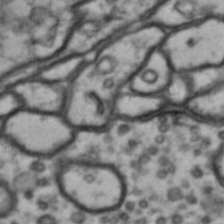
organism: Drosophila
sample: Brain